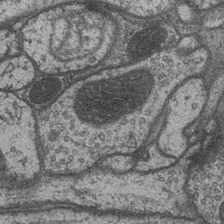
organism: Drosophila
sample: Optic medulla